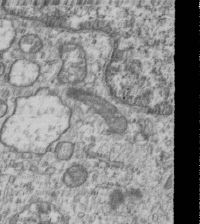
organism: Human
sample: MDA-MB-231 cells